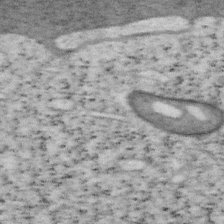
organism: Mouse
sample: OT-I killer T cells with ID8 ovarian cancer cells